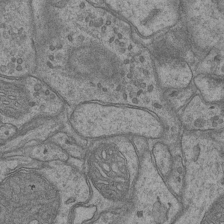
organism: Mouse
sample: CA1 Hippocampus